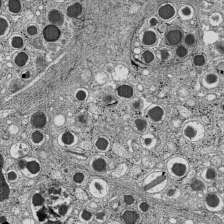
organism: C57BL Mouse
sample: Pancreatic islet